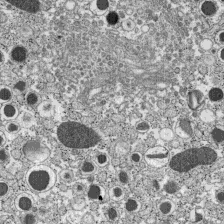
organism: C57BL Mouse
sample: Pancreatic islet